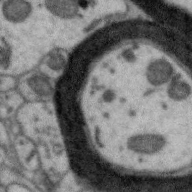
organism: Zebra finch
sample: Brain